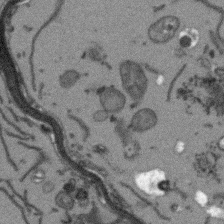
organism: Arabidopsis thaliana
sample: Root tip